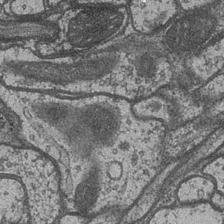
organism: Drosophila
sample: Optic medulla